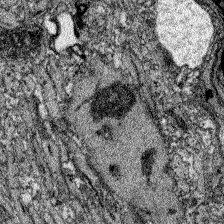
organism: Zebrafish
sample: Larval olfactory bulb